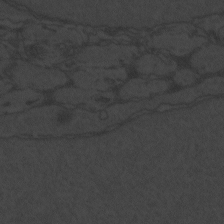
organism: Zebrafish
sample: Macrophage infected with Toxoplasma gondii